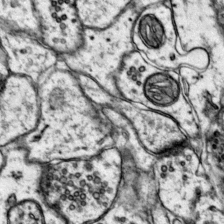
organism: Mouse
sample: Primary visual cortex